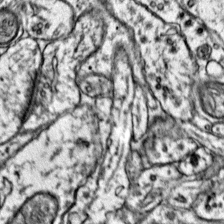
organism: Mouse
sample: Primary visual cortex